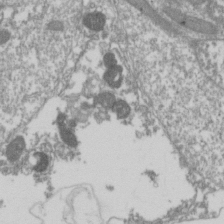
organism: Drosophila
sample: Cell division; meiosis; drosophila spermatocytes